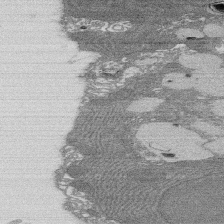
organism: Rat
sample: Salivary granule